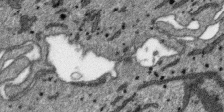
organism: Human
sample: Lung epithelial cells, uninfected (mock) control